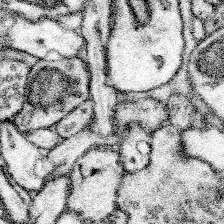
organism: Mouse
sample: Somatosensory cortex neuropil